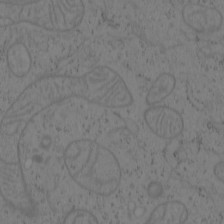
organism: Human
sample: HeLa cells